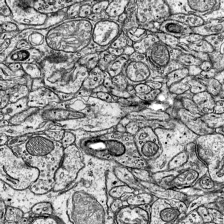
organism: Mouse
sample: Visual Cortex